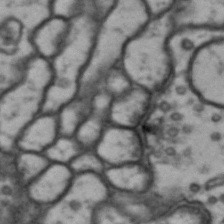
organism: Drosophila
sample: Brain